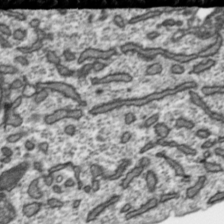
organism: Toxoplasma gondii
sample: Parasites in a vacuole inside a host cell